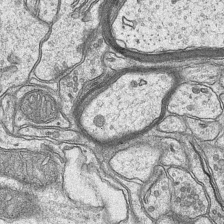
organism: Mouse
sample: CA1 Hippocampus